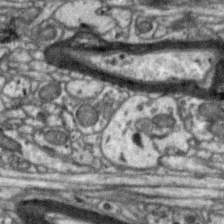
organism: Zebra finch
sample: Brain